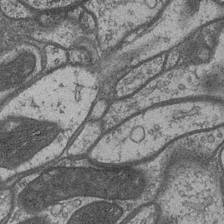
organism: Drosophila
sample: Optic medulla